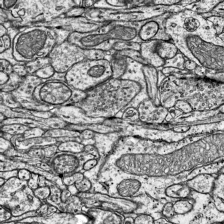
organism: Mouse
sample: Visual Cortex